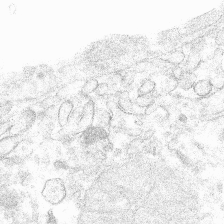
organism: Mouse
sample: Mouse hepatocytes